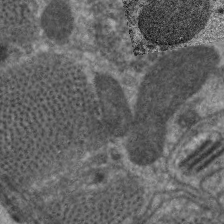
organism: C. elegans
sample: Pharynx